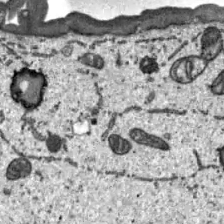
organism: Human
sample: HeLa cells